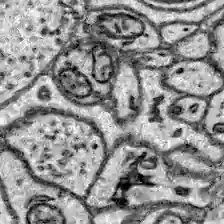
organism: Zebrafish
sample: Brain